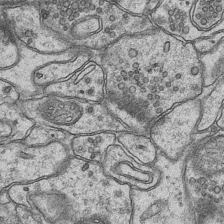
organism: Mouse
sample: CA1 Hippocampus